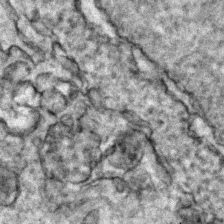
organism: Zebrafish